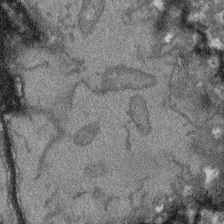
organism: Arabidopsis thaliana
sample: Root tip